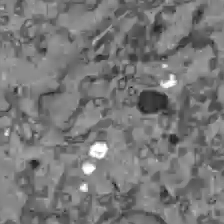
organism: C57BL Mouse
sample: Liver